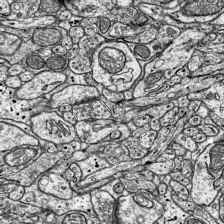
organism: Mouse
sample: Visual Cortex